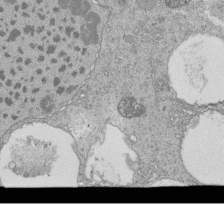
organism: Tetrahymena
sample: Cilia in tetrahymena